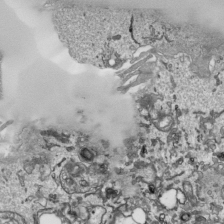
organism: Human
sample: Mitochondria in HCT116 cells